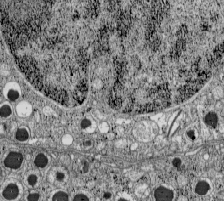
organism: C57BL Mouse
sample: Pancreatic islet